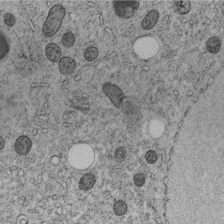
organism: C. elegans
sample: C. elegans embryo early stage